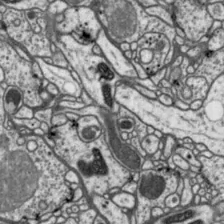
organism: Drosophila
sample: Protocerebral bridge